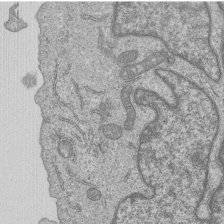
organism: Human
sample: MDA-MB-231 cells